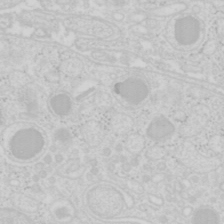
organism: Mouse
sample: Pancreas